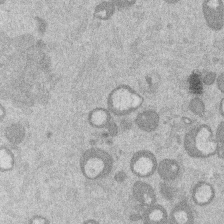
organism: Mouse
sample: Dividing mouse embryo 1 cell stage